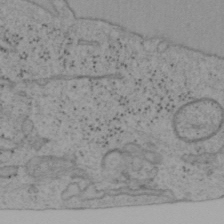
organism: Human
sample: HeLa cells